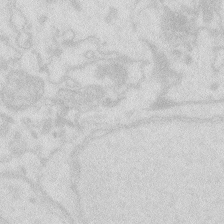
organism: Zebrafish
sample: Macrophage